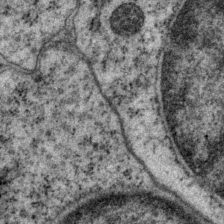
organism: P. pacificus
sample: Pharynx